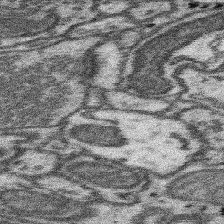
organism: Mouse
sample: Somatosensory cortex neuropil